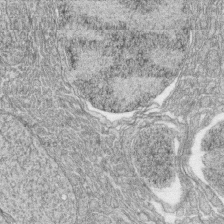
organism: Zebrafish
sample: synaptic ribbons in rod cells and cone cells